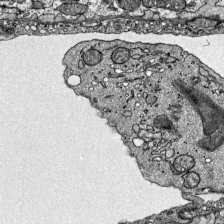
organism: Mouse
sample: Visual Cortex